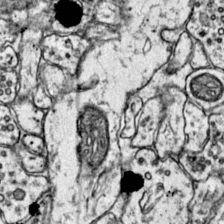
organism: Mouse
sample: Primary visual cortex